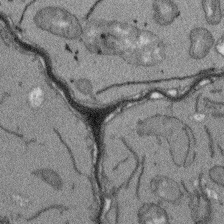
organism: Arabidopsis thaliana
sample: Root tip